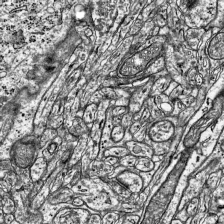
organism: Mouse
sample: Visual Cortex